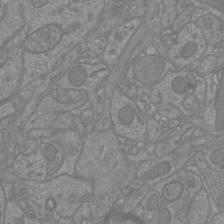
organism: Mouse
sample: Cortical neurons